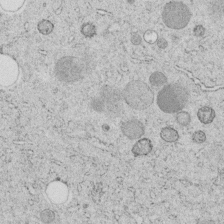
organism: C. elegans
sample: C. elegans embryo early stage